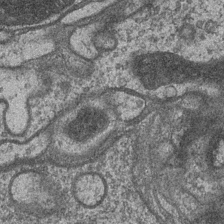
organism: Drosophila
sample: Optic medulla